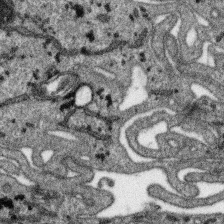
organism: Human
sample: Lung epithelial cells infected with SARS-CoV-2